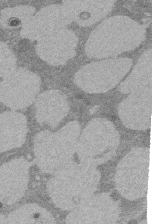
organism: Rat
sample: Salivary granule